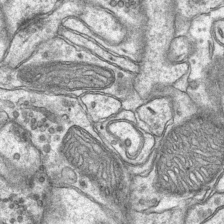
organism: Mouse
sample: CA1 Hippocampus